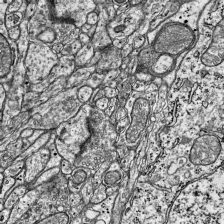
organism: Mouse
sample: Visual Cortex